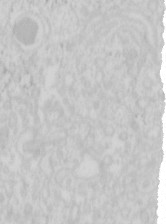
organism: Mouse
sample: Pancreas